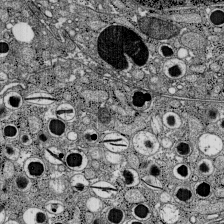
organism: C57BL Mouse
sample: Pancreatic islet